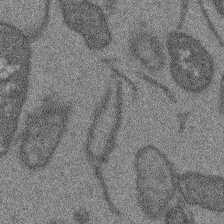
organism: Arabidopsis thaliana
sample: Root tip